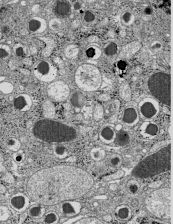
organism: C57BL Mouse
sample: Pancreatic islet